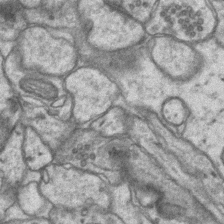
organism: Mouse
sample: CA1 Hippocampus